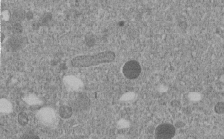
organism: C. elegans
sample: C. elegans embryo early stage